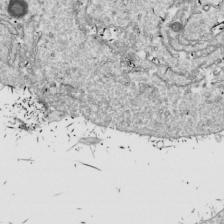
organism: Drosophila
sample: Cell division; meiosis; drosophila spermatocytes